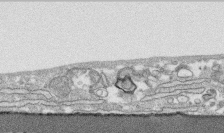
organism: Human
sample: CRL-1474